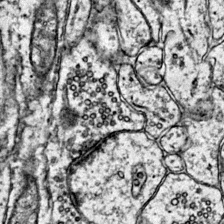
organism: Mouse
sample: Primary visual cortex